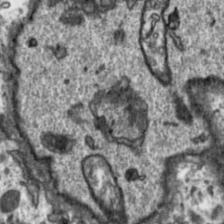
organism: Toxoplasma gondii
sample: Parasites in a vacuole inside a host cell